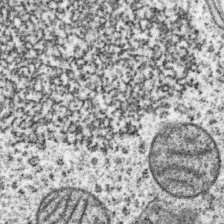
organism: Human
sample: HeLa cells